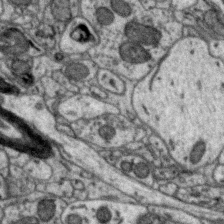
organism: Zebra finch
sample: Brain